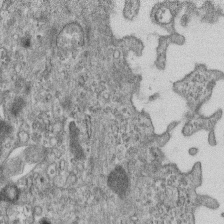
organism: Mouse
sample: Centriole in ependymal cells